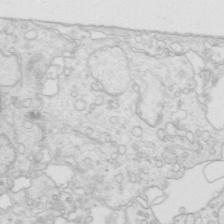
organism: Mouse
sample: Multiciliated cells